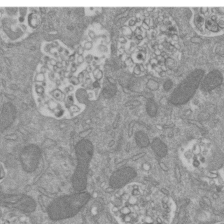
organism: Mouse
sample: ED-1 cell nuclei; centrioles